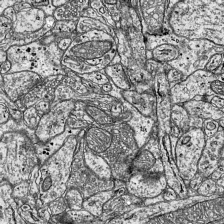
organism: Mouse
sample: Visual Cortex